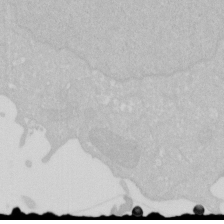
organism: Human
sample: HIV infected U937 cells